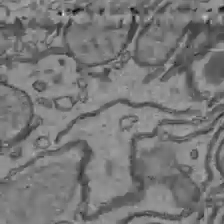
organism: C57BL Mouse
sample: Liver